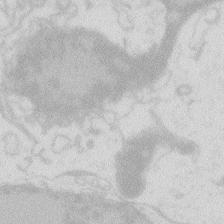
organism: Zebrafish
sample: Macrophage